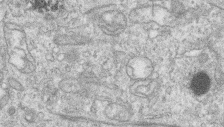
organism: Human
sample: HeLa cell HIV synapse